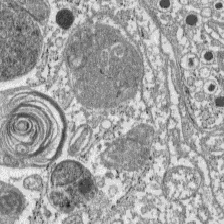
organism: C57BL Mouse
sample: Pancreatic islet